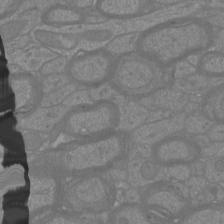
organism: Mouse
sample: Cortical neurons